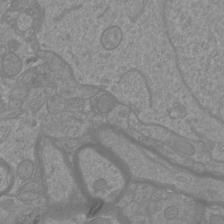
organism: Mouse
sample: Cortical neurons